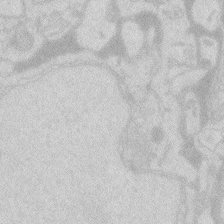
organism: Zebrafish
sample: Macrophage